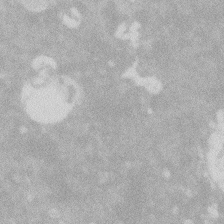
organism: Zebrafish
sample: Macrophage